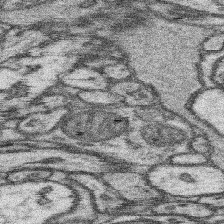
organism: Mouse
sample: Somatosensory cortex neuropil